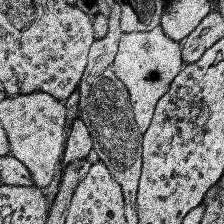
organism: Human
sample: Temporal Lobe